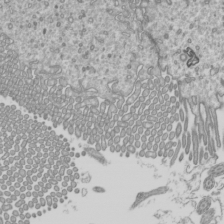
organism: Mouse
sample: Cilia; mouse epididymis